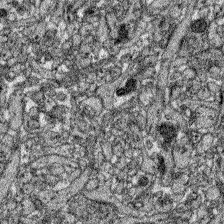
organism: Zebrafish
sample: Larval olfactory bulb